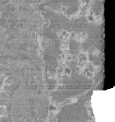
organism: Mouse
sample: Glomerulus